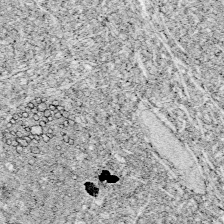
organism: Zebrafish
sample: Whole-Brain